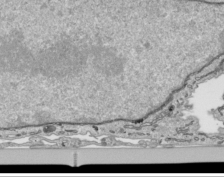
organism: Human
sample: Mitochondria in HCT116 cells